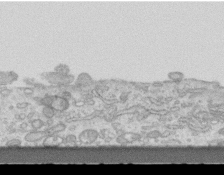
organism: Mouse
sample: Centriole in ependymal cells